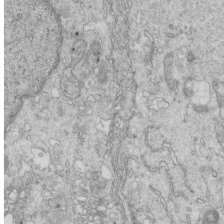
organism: Mouse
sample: Multiciliated cells